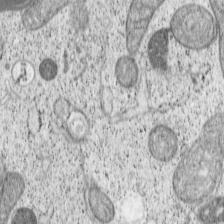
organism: African green monkey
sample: COS-7 cells